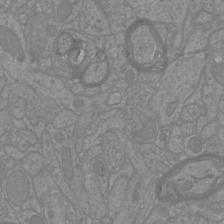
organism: Mouse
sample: Cortical neurons